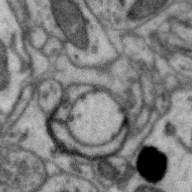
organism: Zebra finch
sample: Brain